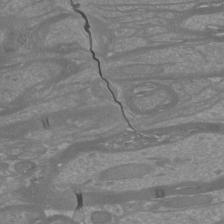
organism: Mouse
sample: Cortical neurons